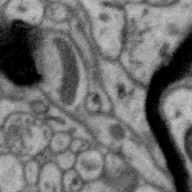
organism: Zebra finch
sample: Brain